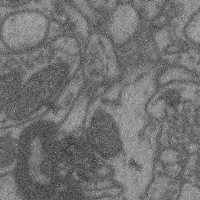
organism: Mouse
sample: Cerebral cortex